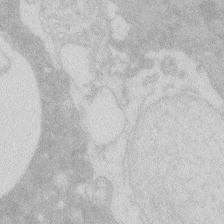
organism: Zebrafish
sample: Macrophage